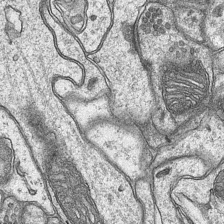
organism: Mouse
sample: CA1 Hippocampus